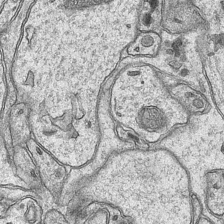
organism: Mouse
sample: CA1 Hippocampus